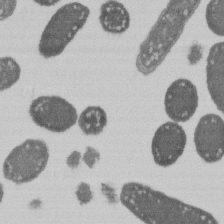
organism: E. coli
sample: Bacterial nucleoid